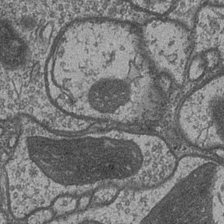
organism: Drosophila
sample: Optic medulla